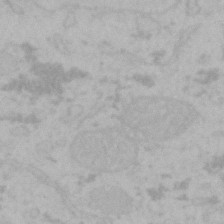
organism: Mouse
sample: Choroid plexus